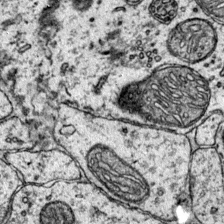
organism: Mouse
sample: Primary visual cortex